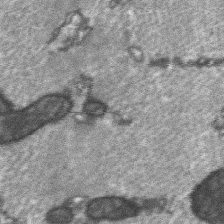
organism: C57BL Mouse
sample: Soleus